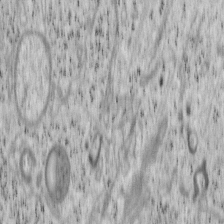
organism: Human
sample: HeLa cells